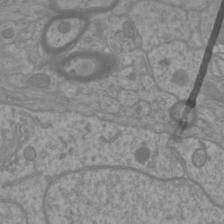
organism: Mouse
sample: Cortical neurons